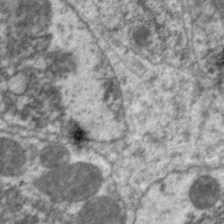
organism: C. elegans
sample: Pharynx